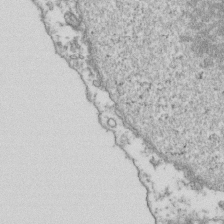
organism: Human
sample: Activated Jurkat CD4+ T cells